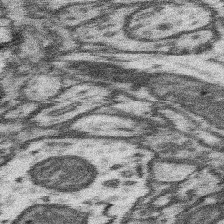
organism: Mouse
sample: Somatosensory cortex neuropil